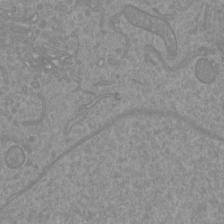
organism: Mouse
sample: Cortical neurons